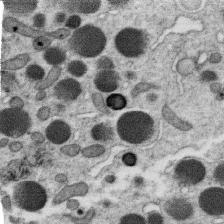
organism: C. elegans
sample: C. elegans oocyte; sperm cells